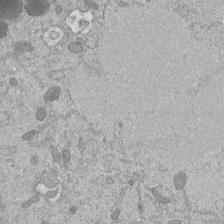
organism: Mouse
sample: ED-1 cell nuclei; centrioles